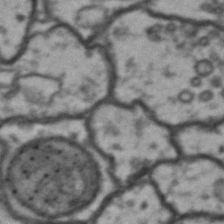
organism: Drosophila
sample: Brain